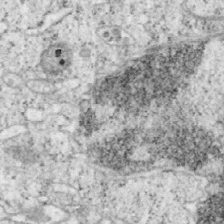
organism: Mouse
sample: OT-I killer T cells with ID8 ovarian cancer cells